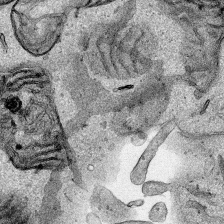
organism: Human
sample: Mitochondria in HCT116 cells